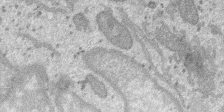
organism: Human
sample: Lung epithelial cells infected with SARS-CoV-2